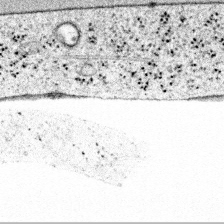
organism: Human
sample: HeLa cells